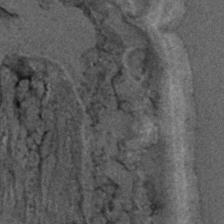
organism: C. elegans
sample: C. elegans embryo